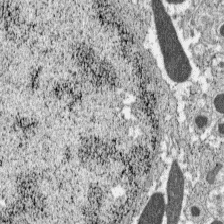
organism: C57BL Mouse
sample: Pancreatic islet